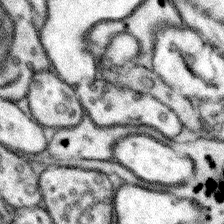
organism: Mouse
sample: Somatosensory cortex neuropil